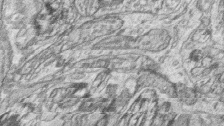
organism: Zebrafish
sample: synaptic ribbons in rod cells and cone cells